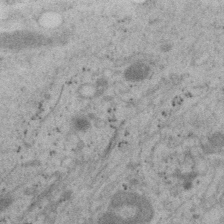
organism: Human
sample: HeLa cells